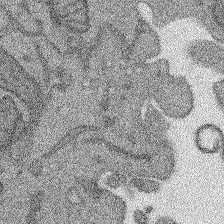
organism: Human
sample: HeLa cells